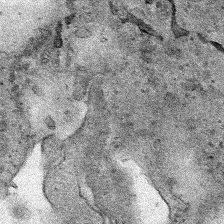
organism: Human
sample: Mitochondria in HCT116 cells